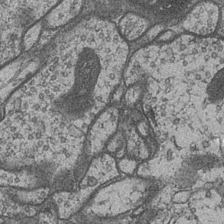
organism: Drosophila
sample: Optic medulla